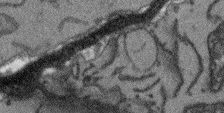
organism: Arabidopsis thaliana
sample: Root tip